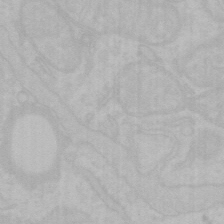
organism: Mouse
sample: Choroid plexus